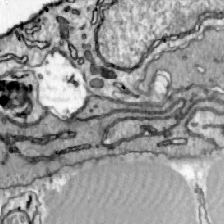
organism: Zebrafish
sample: Actinotrichia fibers